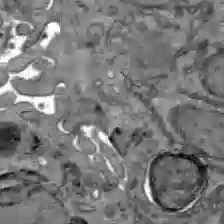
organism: C57BL Mouse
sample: Liver